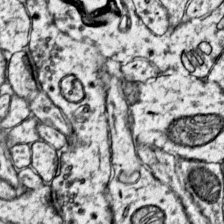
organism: Mouse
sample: Primary visual cortex